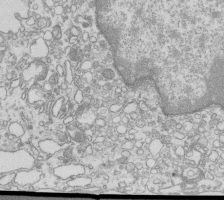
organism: Mouse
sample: Macrophages